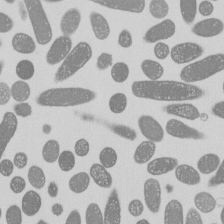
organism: E. coli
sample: Bacterial nucleoid